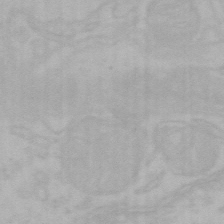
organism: Mouse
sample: Choroid plexus